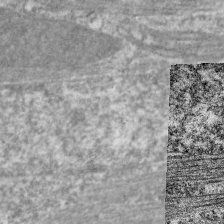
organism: C. elegans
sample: Pharynx